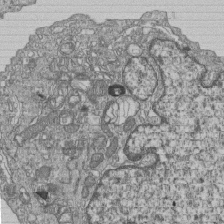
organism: Human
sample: MDA-MB-231 cells